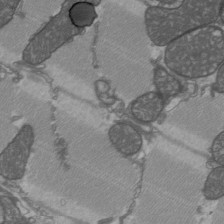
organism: C57BL Mouse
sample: Heart